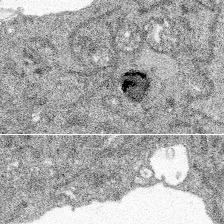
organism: Spongilla lacustris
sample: Multiple